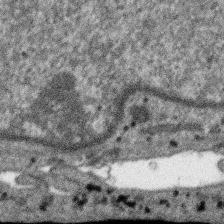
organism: Human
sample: Lung epithelial cells infected with SARS-CoV-2